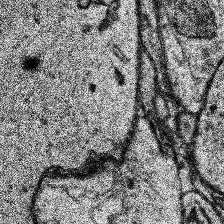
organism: Human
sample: Temporal Lobe